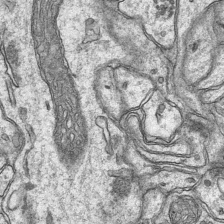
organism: Mouse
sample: CA1 Hippocampus